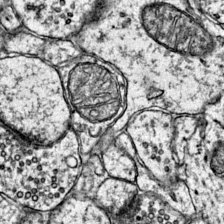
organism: Mouse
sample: Primary visual cortex